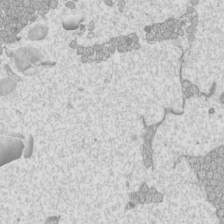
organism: Mouse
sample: Cilia; mouse epididymis